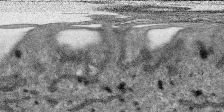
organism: Human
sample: Lung epithelial cells infected with SARS-CoV-2